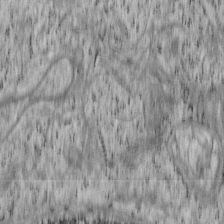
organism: Human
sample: HeLa cells